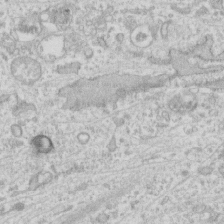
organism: Human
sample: Fibroblast cells